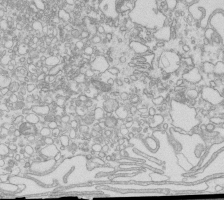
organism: Mouse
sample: Macrophages